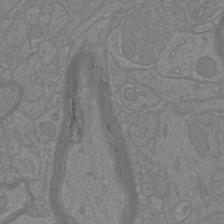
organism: Mouse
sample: Cortical neurons